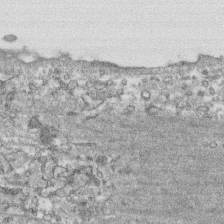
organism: Human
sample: CRL-1474